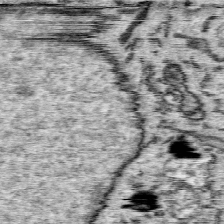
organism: Human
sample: HeLa cells